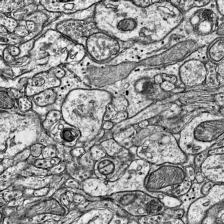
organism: Mouse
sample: Visual Cortex